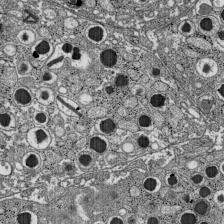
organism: C57BL Mouse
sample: Pancreatic islet